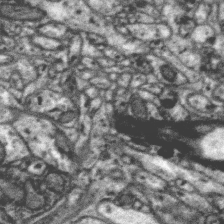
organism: Zebra finch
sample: Brain